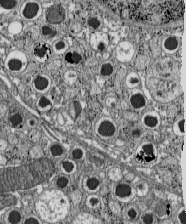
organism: C57BL Mouse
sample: Pancreatic islet